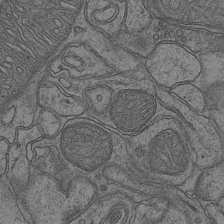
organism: Mouse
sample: CA1 Hippocampus